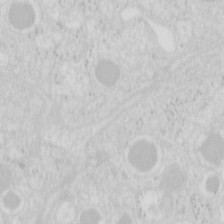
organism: Mouse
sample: Pancreas